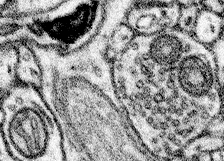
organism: Mouse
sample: Somatosensory cortex neuropil